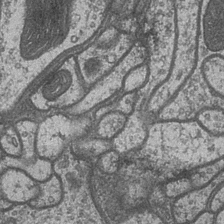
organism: Drosophila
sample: Optic medulla